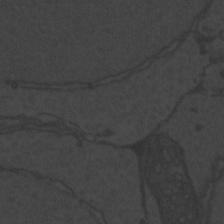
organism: Zebrafish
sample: Macrophage infected with Toxoplasma gondii